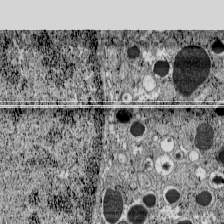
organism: C57BL Mouse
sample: Pancreatic islet